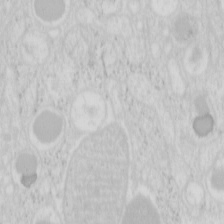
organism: Mouse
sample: Pancreas